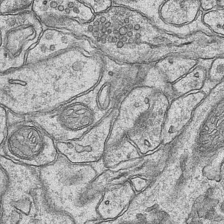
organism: Mouse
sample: CA1 Hippocampus